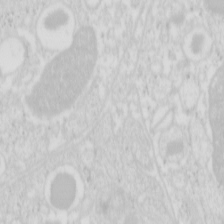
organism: Mouse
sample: Pancreas